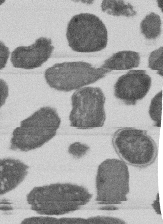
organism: E. coli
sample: Bacterial nucleoid